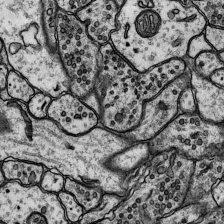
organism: Rat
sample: Hippocampus